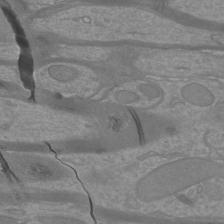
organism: Mouse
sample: Cortical neurons